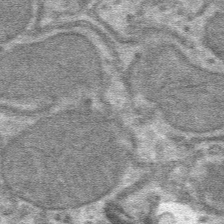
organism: Mouse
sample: Mouse hepatocytes